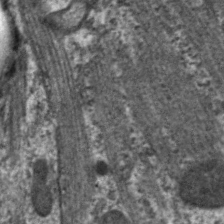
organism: C. elegans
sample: Pharynx